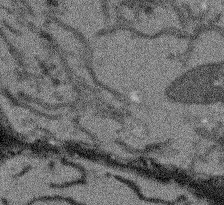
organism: Arabidopsis thaliana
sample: Root tip